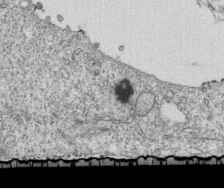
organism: Human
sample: HeLa cell HIV synapse